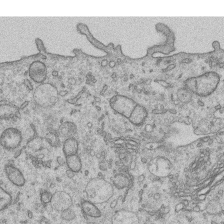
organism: Human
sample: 1205lu cells